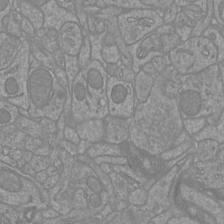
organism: Mouse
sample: Cortical neurons